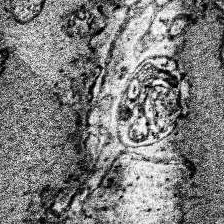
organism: Human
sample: Temporal Lobe